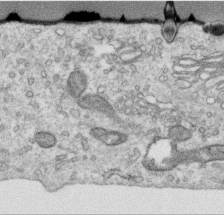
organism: Human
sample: Centriole in RPE cells